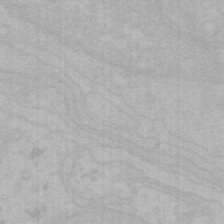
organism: Mouse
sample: Choroid plexus